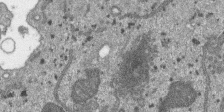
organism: Human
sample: Lung epithelial cells infected with SARS-CoV-2